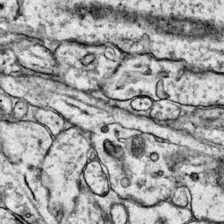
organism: Mouse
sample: Primary visual cortex